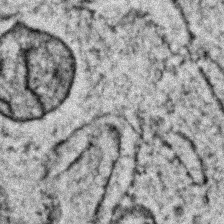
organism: Zebrafish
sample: Zebrafish embryo